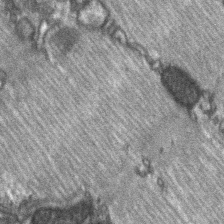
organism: C57BL Mouse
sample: Soleus